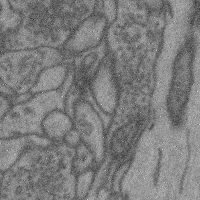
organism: Mouse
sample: Cerebral cortex